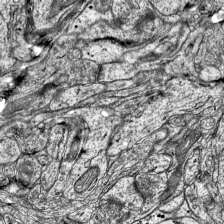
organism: Mouse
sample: Visual Cortex